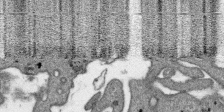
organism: Human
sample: Lung epithelial cells, uninfected (mock) control